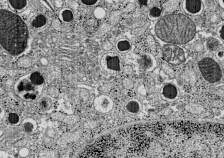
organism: C57BL Mouse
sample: Pancreatic islet